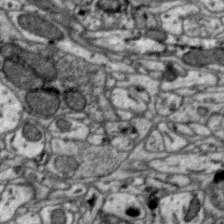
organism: Zebra finch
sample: Brain